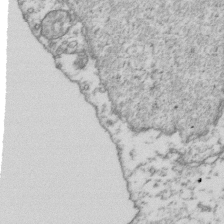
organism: Human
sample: Activated Jurkat CD4+ T cells